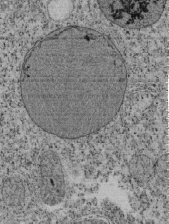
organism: Tetrahymena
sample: Cilia in tetrahymena